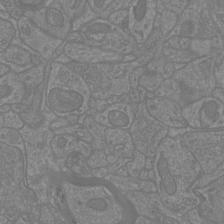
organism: Mouse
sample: Cortical neurons